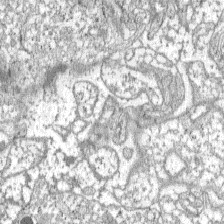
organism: C57BL Mouse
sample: Pancreatic islet